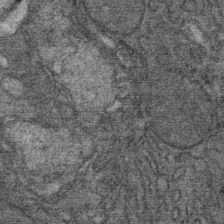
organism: Mouse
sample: Mouse Salivary gland